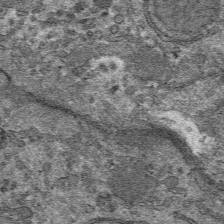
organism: Mouse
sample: Mouse hepatocytes